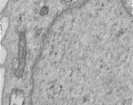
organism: Human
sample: Centriole in RPE cells